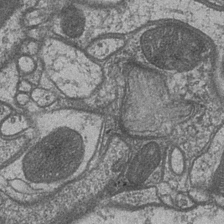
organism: Drosophila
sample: Optic medulla